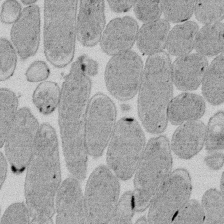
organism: E. coli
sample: Bacterial nucleoid